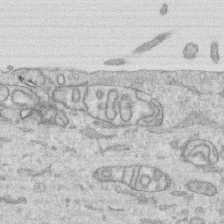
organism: Human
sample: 1205lu cells